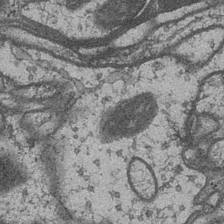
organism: Drosophila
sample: Optic medulla